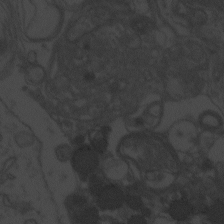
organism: Zebrafish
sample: Macrophage infected with Toxoplasma gondii